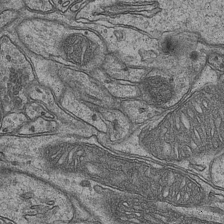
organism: Mouse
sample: CA1 Hippocampus